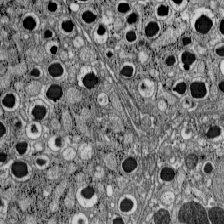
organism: C57BL Mouse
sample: Pancreatic islet